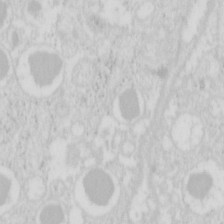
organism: Mouse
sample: Pancreas